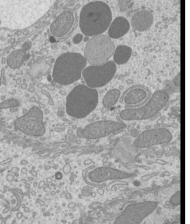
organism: Mouse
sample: Cilia; mouse epididymis